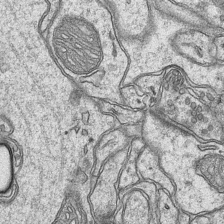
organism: Mouse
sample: CA1 Hippocampus